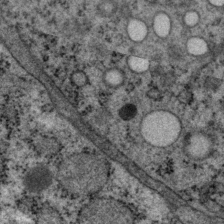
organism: P. pacificus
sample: Pharynx